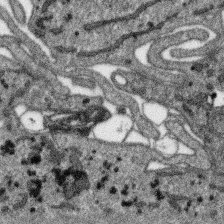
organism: Human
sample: Lung epithelial cells infected with SARS-CoV-2